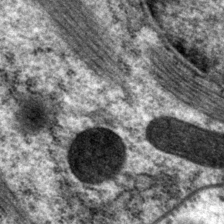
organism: P. pacificus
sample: Pharynx